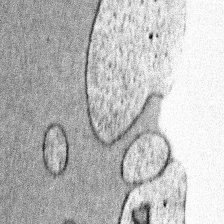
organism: Human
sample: HeLa cells